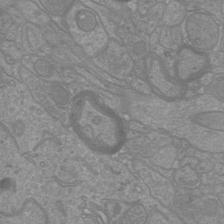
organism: Mouse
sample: Cortical neurons